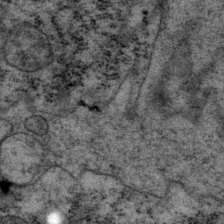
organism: P. pacificus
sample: Pharynx